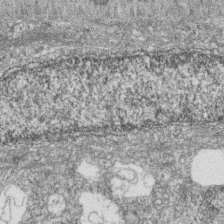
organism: Zebrafish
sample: Cilia; retinal pigment epithelium